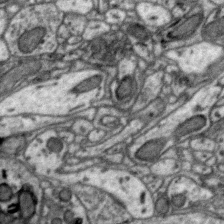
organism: Zebra finch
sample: Brain